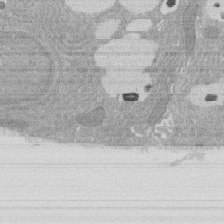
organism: Rat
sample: Salivary granule